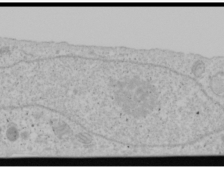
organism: Human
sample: Mitochondria in U2OS cells